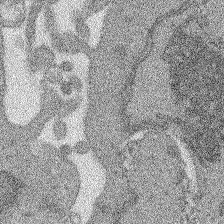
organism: Human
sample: HeLa cells